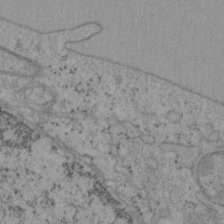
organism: Human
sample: HeLa cells